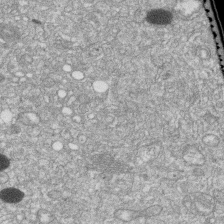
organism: Human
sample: HeLa cell HIV synapse